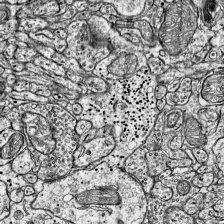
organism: Mouse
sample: Visual Cortex